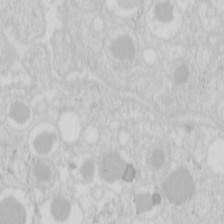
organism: Mouse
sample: Pancreas